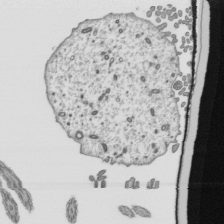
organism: Mouse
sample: Mouse epididymis efferent ductule cilia